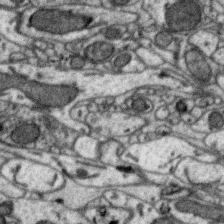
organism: Zebra finch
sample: Brain